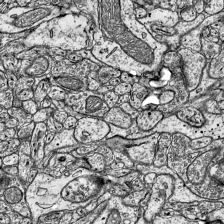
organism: Mouse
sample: Visual Cortex